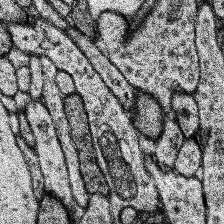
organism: Human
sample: Temporal Lobe